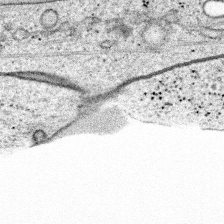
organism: Human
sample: HeLa cells